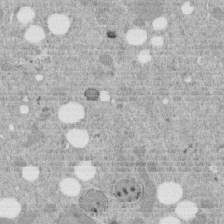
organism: C. elegans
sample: C. elegans embryo early stage